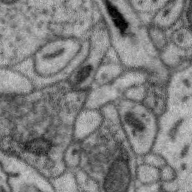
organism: Zebra finch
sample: Brain